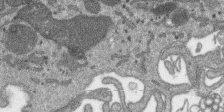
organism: Human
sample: Lung epithelial cells infected with SARS-CoV-2